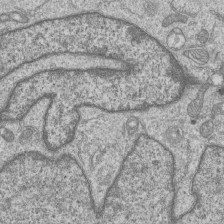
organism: Human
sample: MDA-MB-231 cells